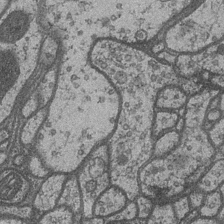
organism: Drosophila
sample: Optic medulla